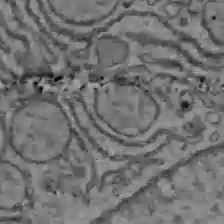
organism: C57BL Mouse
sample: Liver